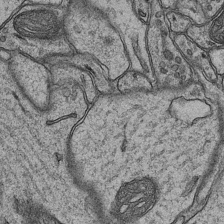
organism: Mouse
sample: CA1 Hippocampus